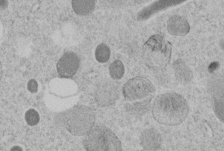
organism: C. elegans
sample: C. elegans embryo early stage